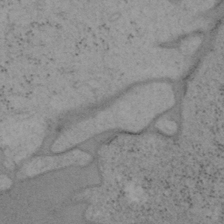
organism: Mouse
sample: OT-I killer T cells with ID8 ovarian cancer cells